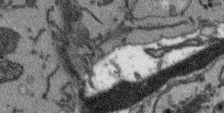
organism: Arabidopsis thaliana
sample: Root tip